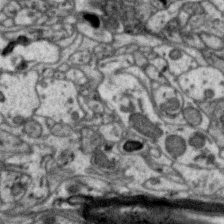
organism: Zebra finch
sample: Brain